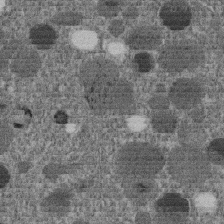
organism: C. elegans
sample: C. elegans embryo early stage